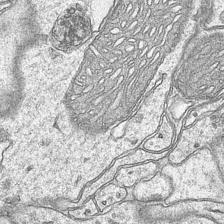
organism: Mouse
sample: CA1 Hippocampus